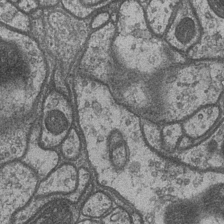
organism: Drosophila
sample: Optic medulla